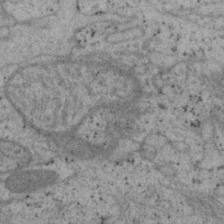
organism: Human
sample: HeLa cells